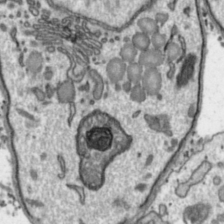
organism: Toxoplasma gondii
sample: Parasites in a vacuole inside a host cell